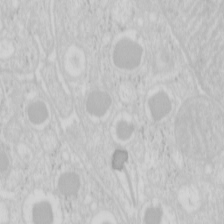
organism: Mouse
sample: Pancreas